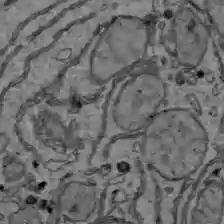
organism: C57BL Mouse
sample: Liver